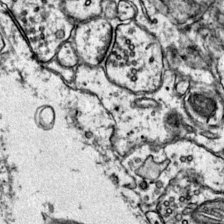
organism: Mouse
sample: Primary visual cortex